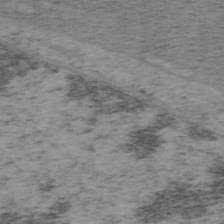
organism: Mouse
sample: OT-I killer T cells with ID8 ovarian cancer cells